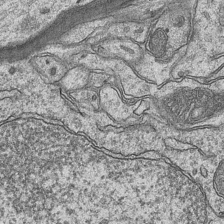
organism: Mouse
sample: CA1 Hippocampus